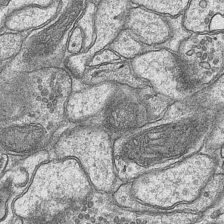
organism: Mouse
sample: CA1 Hippocampus